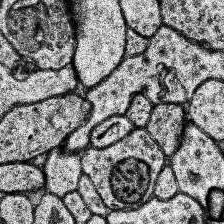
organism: Human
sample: Temporal Lobe